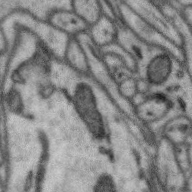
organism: Zebra finch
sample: Brain